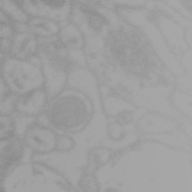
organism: Zebra finch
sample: Brain